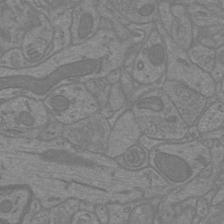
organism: Mouse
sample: Cortical neurons